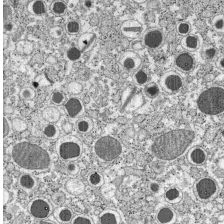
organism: C57BL Mouse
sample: Pancreatic islet